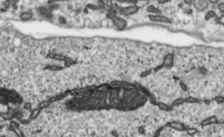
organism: Toxoplasma gondii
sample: Parasites in a vacuole inside a host cell